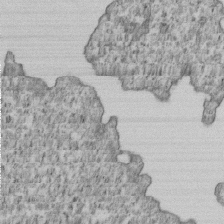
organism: Human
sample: MDA-MB-231 cells